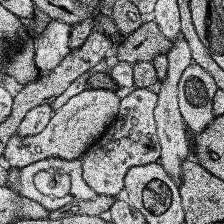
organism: Human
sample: Temporal Lobe